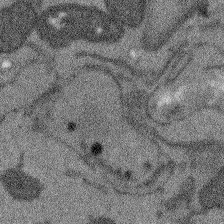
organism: Arabidopsis thaliana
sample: Root tip